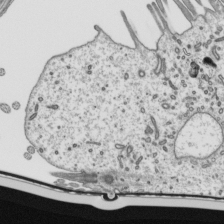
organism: Mouse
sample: Mouse epididymis efferent ductule cilia